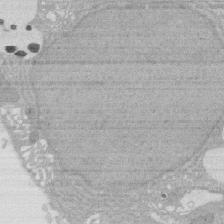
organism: Rat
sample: Salivary granule